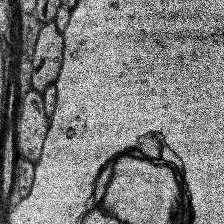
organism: Human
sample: Temporal Lobe